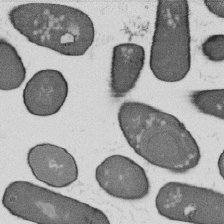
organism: B. subtilis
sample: Bacterial spore